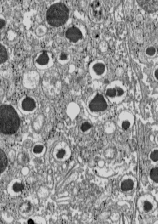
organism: C57BL Mouse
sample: Pancreatic islet